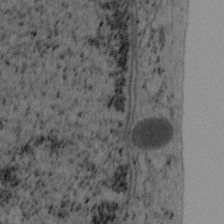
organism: Human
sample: HeLa cells